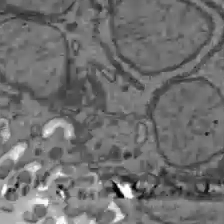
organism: C57BL Mouse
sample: Liver